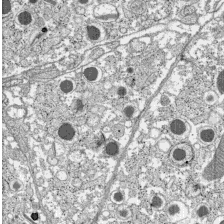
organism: C57BL Mouse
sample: Pancreatic islet